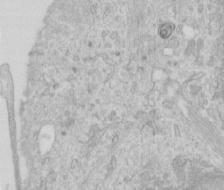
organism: Human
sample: Centriole in RPE cells